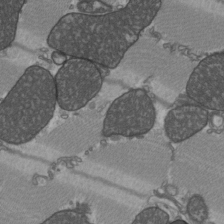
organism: C57BL Mouse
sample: Heart